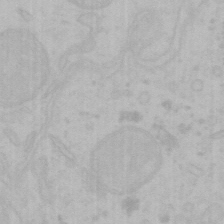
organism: Mouse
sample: Choroid plexus